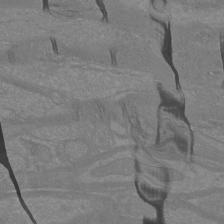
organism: Mouse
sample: Cortical neurons